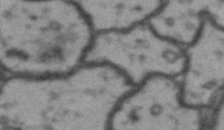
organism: Drosophila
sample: Brain